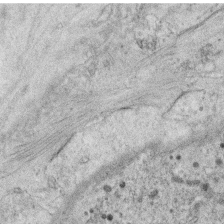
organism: C. elegans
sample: C. elegans oocyte; sperm cells